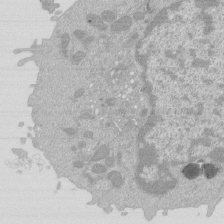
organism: Mouse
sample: Activated Pmel transgenic CD8+ T Cells